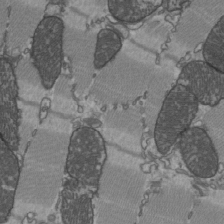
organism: C57BL Mouse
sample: Heart